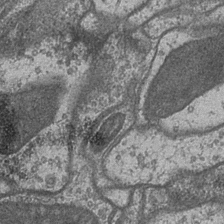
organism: Drosophila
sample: Optic medulla